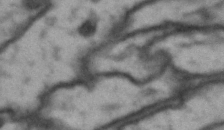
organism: Drosophila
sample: Brain